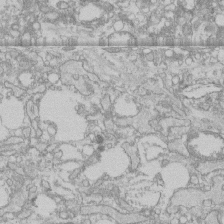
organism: Human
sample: CRL-1474